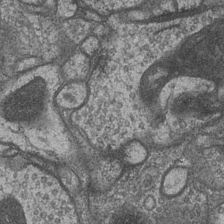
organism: Drosophila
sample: Optic medulla